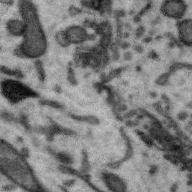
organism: Zebra finch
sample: Brain